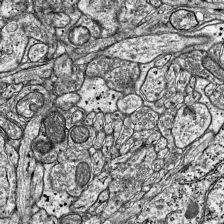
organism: Mouse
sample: Visual Cortex